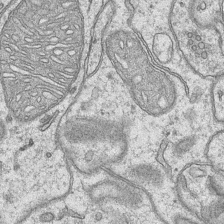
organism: Mouse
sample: CA1 Hippocampus